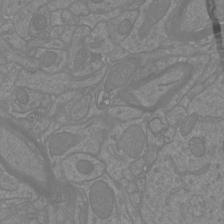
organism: Mouse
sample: Cortical neurons